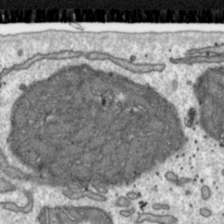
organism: Toxoplasma gondii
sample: Parasites in a vacuole inside a host cell